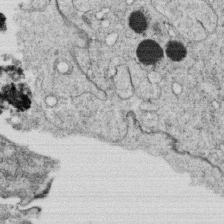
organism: C. elegans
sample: C. elegans oocyte; sperm cells